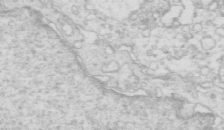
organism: Mouse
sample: Multiciliated cells